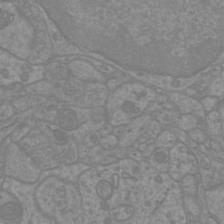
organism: Mouse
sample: Cortical neurons